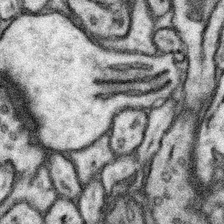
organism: Mouse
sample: Somatosensory cortex neuropil